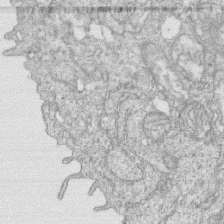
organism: Human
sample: HeLa cell HIV synapse